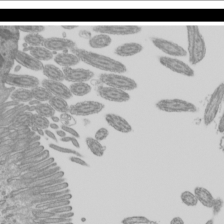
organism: Mouse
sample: Cilia; mouse epididymis